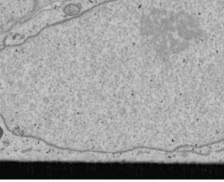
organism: Human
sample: Mitochondria in U2OS cells